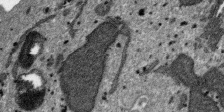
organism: Human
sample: Lung epithelial cells, uninfected (mock) control